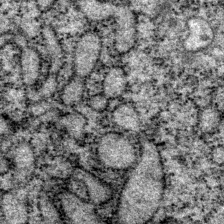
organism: P. pacificus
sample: Pharynx